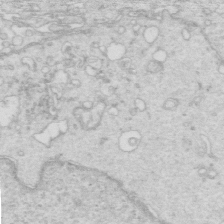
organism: Mouse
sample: Multiciliated cells